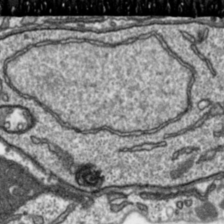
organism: Toxoplasma gondii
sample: Parasites in a vacuole inside a host cell